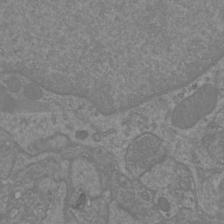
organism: Mouse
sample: Cortical neurons